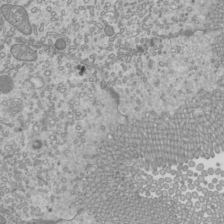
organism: Mouse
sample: Cilia; mouse epididymis